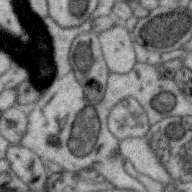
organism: Zebra finch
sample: Brain